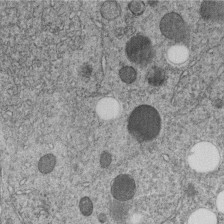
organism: C. elegans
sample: C. elegans embryo early stage